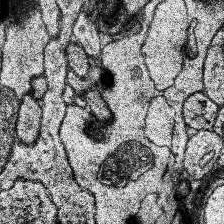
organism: Human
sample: Temporal Lobe